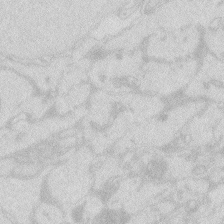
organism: Zebrafish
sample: Macrophage